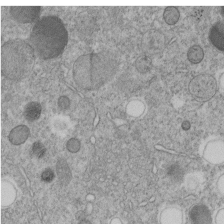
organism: C. elegans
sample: C. elegans embryo early stage